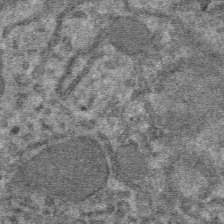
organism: Mouse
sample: Mouse hepatocytes